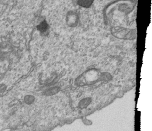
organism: Human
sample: MDA-MB-231 cells